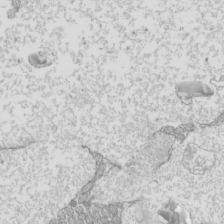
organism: Mouse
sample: Cilia; mouse epididymis